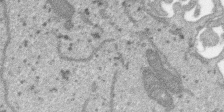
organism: Human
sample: Lung epithelial cells infected with SARS-CoV-2